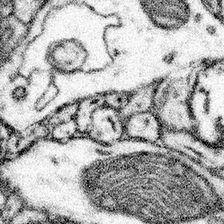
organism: Mouse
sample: Somatosensory cortex neuropil